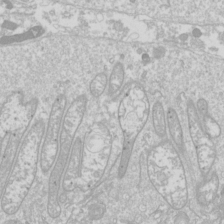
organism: Drosophila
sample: Cell division; meiosis; drosophila spermatocytes